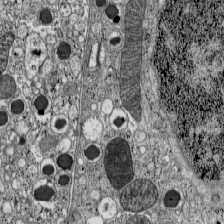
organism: C57BL Mouse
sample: Pancreatic islet